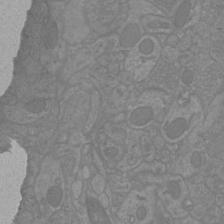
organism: Mouse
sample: Cortical neurons